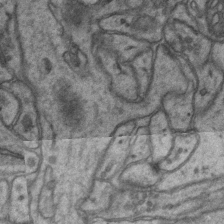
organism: Mouse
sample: CA1 Hippocampus